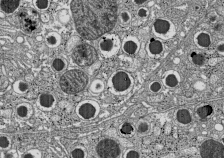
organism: C57BL Mouse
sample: Pancreatic islet